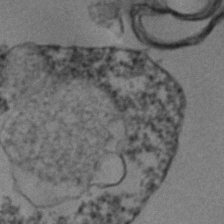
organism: Human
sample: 1205lu cells